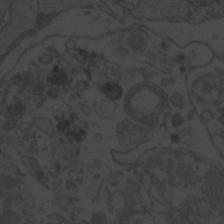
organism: Zebrafish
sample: Macrophage infected with Toxoplasma gondii